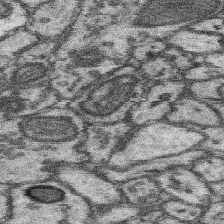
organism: Mouse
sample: Somatosensory cortex neuropil